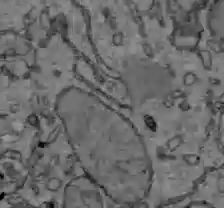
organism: C57BL Mouse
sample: Liver